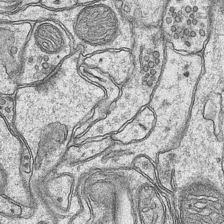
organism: Mouse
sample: CA1 Hippocampus